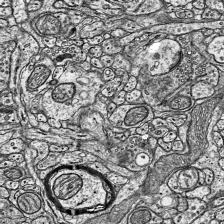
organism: Mouse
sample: Visual Cortex